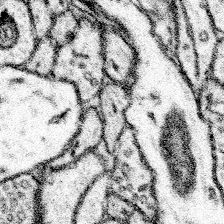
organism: Mouse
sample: Somatosensory cortex neuropil